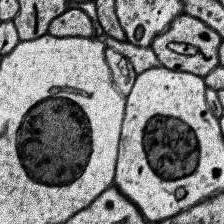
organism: Human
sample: Temporal Lobe